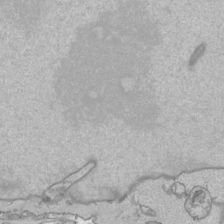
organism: Human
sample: Mitochondria in HCT116 cells